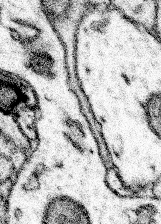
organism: Mouse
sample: Somatosensory cortex neuropil